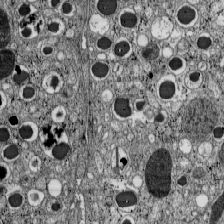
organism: C57BL Mouse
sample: Pancreatic islet